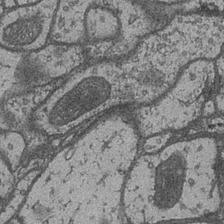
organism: Drosophila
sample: Optic medulla